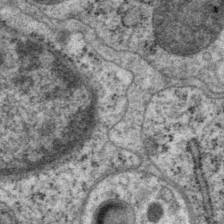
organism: P. pacificus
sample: Pharynx